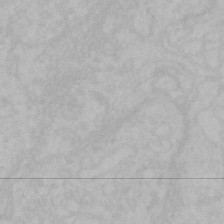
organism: Mouse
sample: Choroid plexus